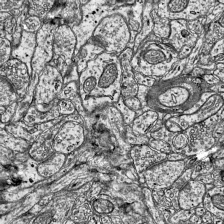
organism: Mouse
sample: Visual Cortex